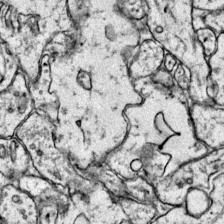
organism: Mouse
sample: Primary visual cortex